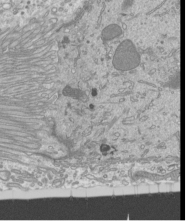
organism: Mouse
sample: Cilia; mouse epididymis